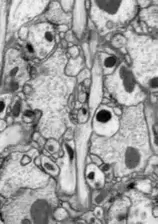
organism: Drosophila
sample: Optic lobe